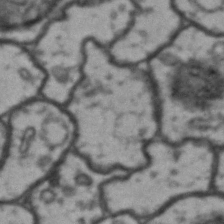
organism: Drosophila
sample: Brain